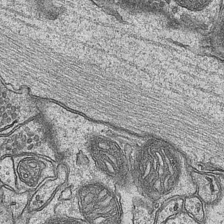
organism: Mouse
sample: CA1 Hippocampus